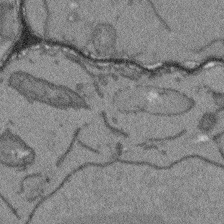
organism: Arabidopsis thaliana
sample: Root tip